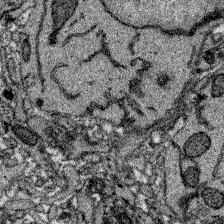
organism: Zebrafish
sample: Larval olfactory bulb